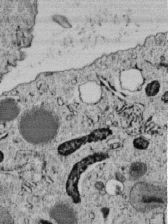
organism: C. elegans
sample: C. elegans embryo early stage